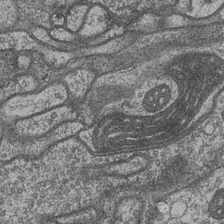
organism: Drosophila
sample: Optic medulla